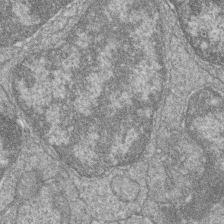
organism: Zebrafish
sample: Cilia; retinal pigment epithelium